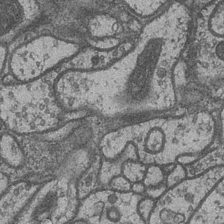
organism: Drosophila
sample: Optic medulla